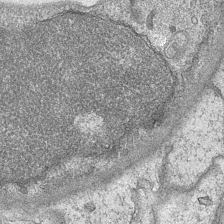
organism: Mouse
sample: CA1 Hippocampus